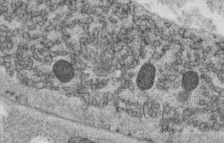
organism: C. elegans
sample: C. elegans oocyte; sperm cells